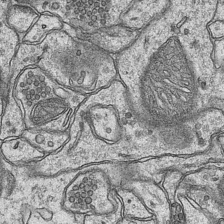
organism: Mouse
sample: CA1 Hippocampus